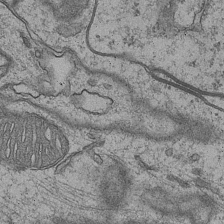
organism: Mouse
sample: CA1 Hippocampus